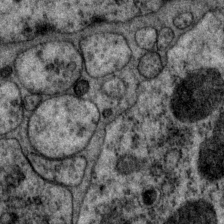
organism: P. pacificus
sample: Pharynx